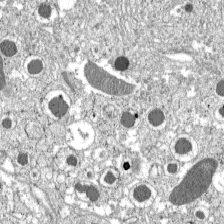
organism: C57BL Mouse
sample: Pancreatic islet